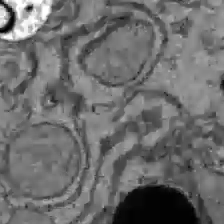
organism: C57BL Mouse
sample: Liver